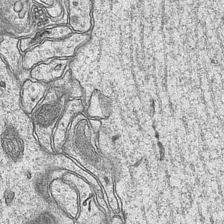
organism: Mouse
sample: CA1 Hippocampus